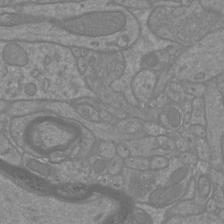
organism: Mouse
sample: Cortical neurons